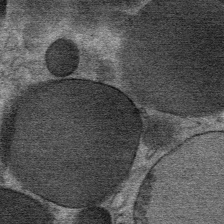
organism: Mouse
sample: Mouse Salivary gland